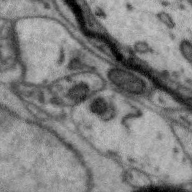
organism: Zebra finch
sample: Brain